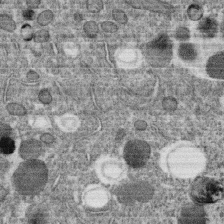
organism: C. elegans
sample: C. elegans oocyte; sperm cells